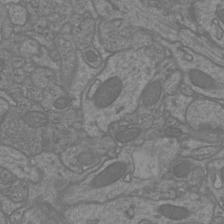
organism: Mouse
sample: Cortical neurons